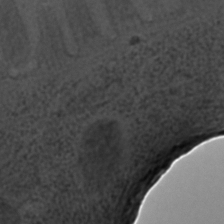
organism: C. elegans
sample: C. elegans embryo